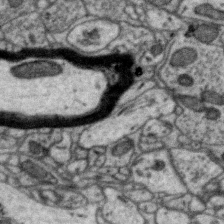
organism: Zebra finch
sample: Brain